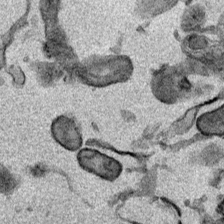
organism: Mouse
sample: Cancer cell death in ED-1 cells